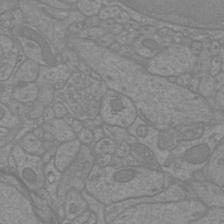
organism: Mouse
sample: Cortical neurons